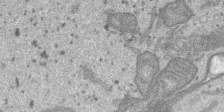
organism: Human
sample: Lung epithelial cells infected with SARS-CoV-2